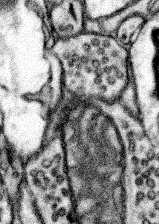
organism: Mouse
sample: Somatosensory cortex neuropil